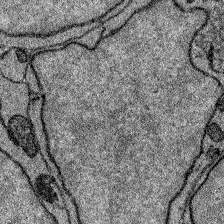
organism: Zebrafish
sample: Larval olfactory bulb